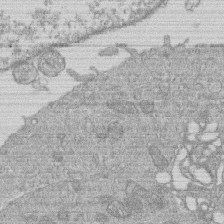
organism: Human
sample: Macrophage cells